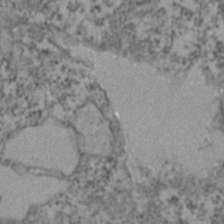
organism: Zebrafish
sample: Zebrafish embryo